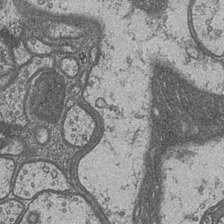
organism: Drosophila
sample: Optic medulla